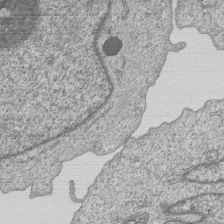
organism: Human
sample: MDA-MB-231 cells